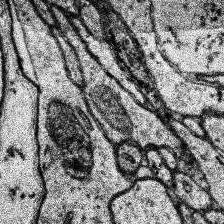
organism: Human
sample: Temporal Lobe